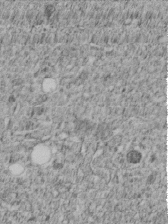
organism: C. elegans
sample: C. elegans embryo early stage